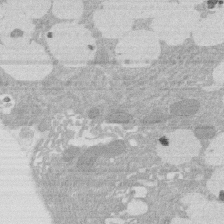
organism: Rat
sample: Salivary granule